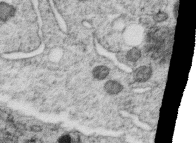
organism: C. elegans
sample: C. elegans oocyte; sperm cells